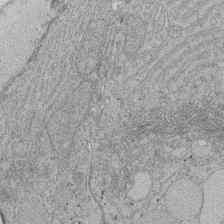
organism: Rat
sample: Salivary granule